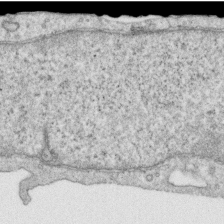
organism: Human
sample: Centriole in RPE cells